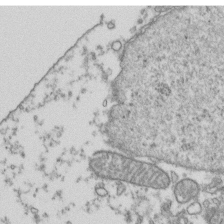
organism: Human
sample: Activated Jurkat CD4+ T cells